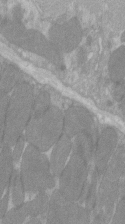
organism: C57BL Mouse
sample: Tibialis anterior muscle cell